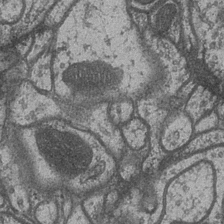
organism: Drosophila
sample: Optic medulla